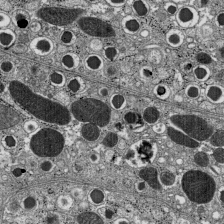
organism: C57BL Mouse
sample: Pancreatic islet